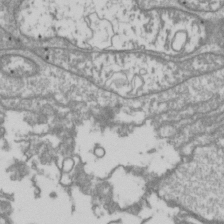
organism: Drosophila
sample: Cell division; meiosis; drosophila spermatocytes